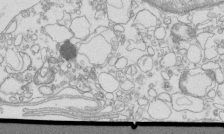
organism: Mouse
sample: Macrophages